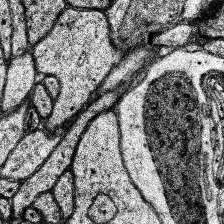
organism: Human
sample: Temporal Lobe